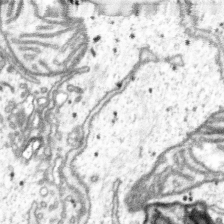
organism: Human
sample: HeLa cells